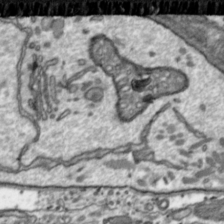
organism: Toxoplasma gondii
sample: Parasites in a vacuole inside a host cell